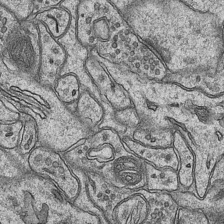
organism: Mouse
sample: CA1 Hippocampus